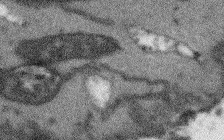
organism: Arabidopsis thaliana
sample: Root tip